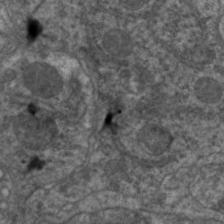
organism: C. elegans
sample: Pharynx